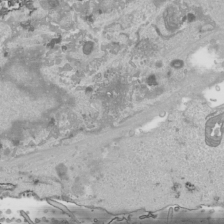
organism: Human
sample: Mitochondria in HCT116 cells